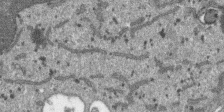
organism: Human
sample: Lung epithelial cells infected with SARS-CoV-2